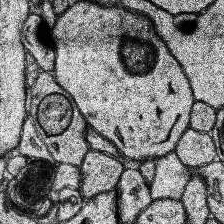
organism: Human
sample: Temporal Lobe